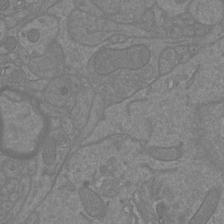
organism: Mouse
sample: Cortical neurons